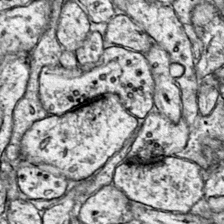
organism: Mouse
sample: Primary visual cortex